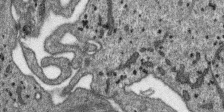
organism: Human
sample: Lung epithelial cells infected with SARS-CoV-2